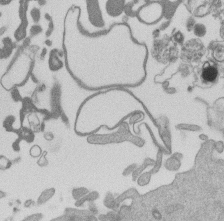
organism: Mouse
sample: Dividing mouse embryo 1 cell stage